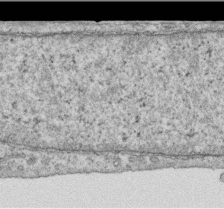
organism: Human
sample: Centriole in RPE cells